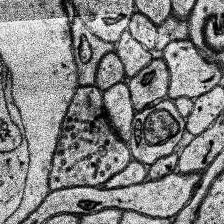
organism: Human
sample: Temporal Lobe